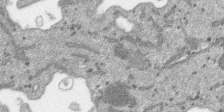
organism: Human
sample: Lung epithelial cells infected with SARS-CoV-2